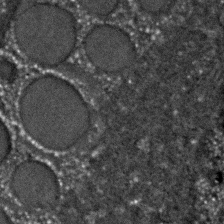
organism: C. elegans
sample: C. elegans embryo